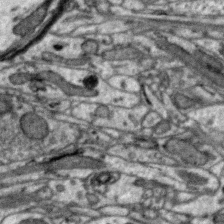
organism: Zebra finch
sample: Brain